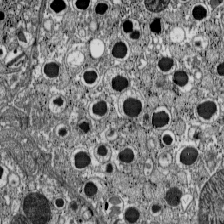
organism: C57BL Mouse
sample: Pancreatic islet